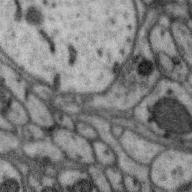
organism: Zebra finch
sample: Brain